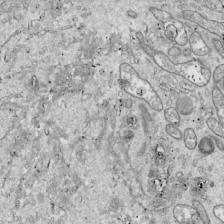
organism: Drosophila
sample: Cell division; meiosis; drosophila spermatocytes